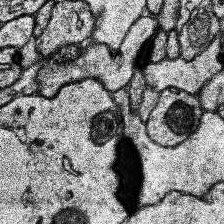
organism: Human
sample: Temporal Lobe